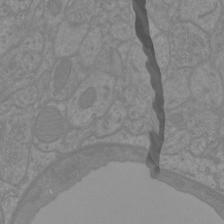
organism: Mouse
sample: Cortical neurons